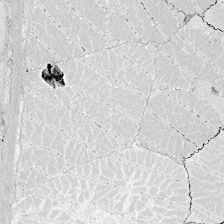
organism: Zebrafish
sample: Whole-Brain